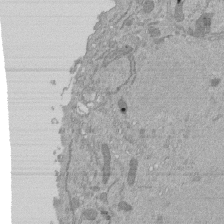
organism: Mouse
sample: ED-1 cell nuclei; centrioles